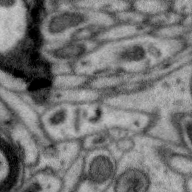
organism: Zebra finch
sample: Brain